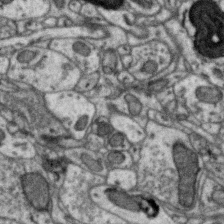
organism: Zebra finch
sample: Brain